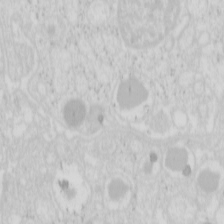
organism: Mouse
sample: Pancreas